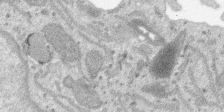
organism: Human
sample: Lung epithelial cells infected with SARS-CoV-2